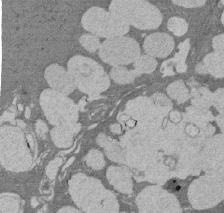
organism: Rat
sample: Salivary granule